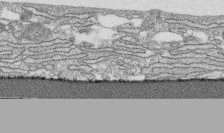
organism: Human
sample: CRL-1474